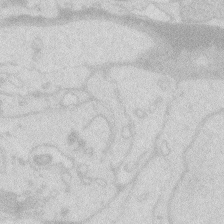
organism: Zebrafish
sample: Macrophage